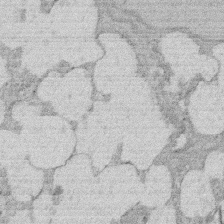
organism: Rat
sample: Salivary granule